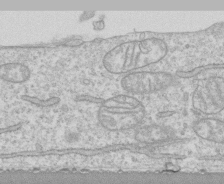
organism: Human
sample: CRL-1474